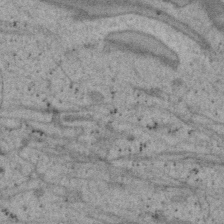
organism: Human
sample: HeLa cells